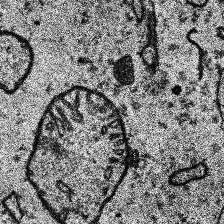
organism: Human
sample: Temporal Lobe